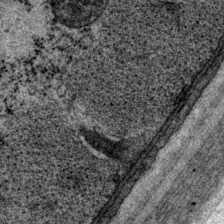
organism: P. pacificus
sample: Pharynx